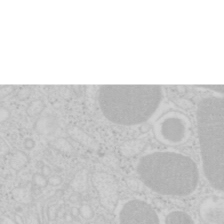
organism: Mouse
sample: Pancreas